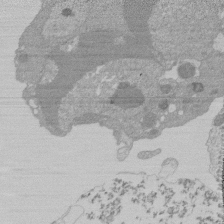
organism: Mouse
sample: Activated Pmel transgenic CD8+ T Cells